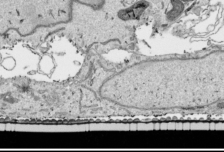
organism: Human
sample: Mitochondria in HCT116 cells